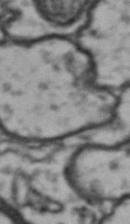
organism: Drosophila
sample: Brain